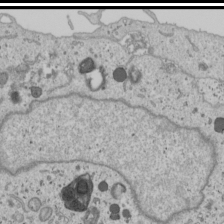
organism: Human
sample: Mitochondria in U2OS cells